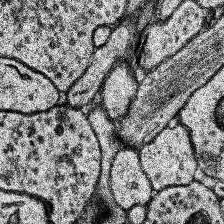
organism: Human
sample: Temporal Lobe